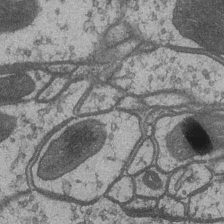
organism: Drosophila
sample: Optic medulla